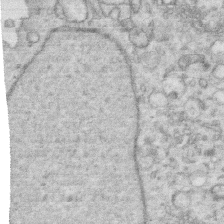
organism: Human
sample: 1205lu cells